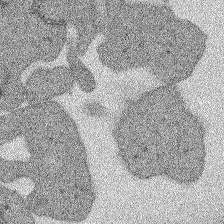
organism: Human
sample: HeLa cells